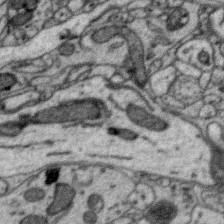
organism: Zebra finch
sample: Brain